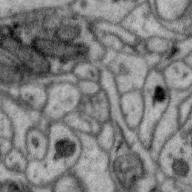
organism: Zebra finch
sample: Brain